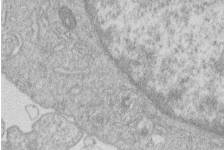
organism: Human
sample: Macrophage cells